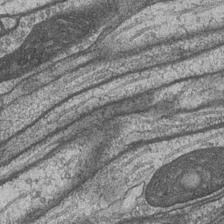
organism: Drosophila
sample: Optic medulla